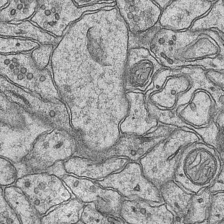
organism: Mouse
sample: CA1 Hippocampus